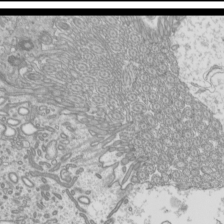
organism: Mouse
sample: Cilia; mouse epididymis